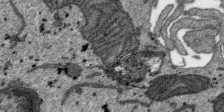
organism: Human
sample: Lung epithelial cells, uninfected (mock) control